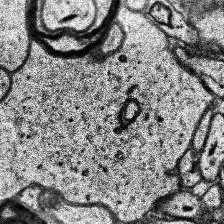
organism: Human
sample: Temporal Lobe